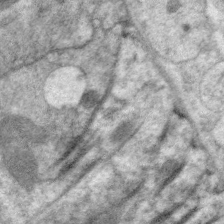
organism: C. elegans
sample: Pharynx